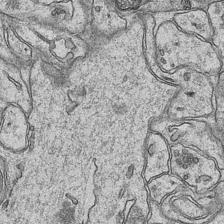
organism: Mouse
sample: CA1 Hippocampus